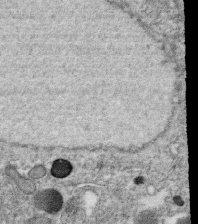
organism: C. elegans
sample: C. elegans oocyte; sperm cells